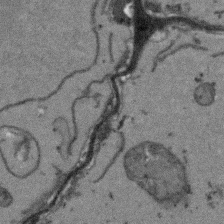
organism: Arabidopsis thaliana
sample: Root tip